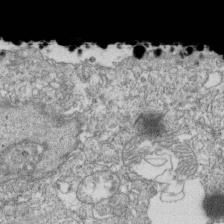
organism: Human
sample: HeLa cell HIV synapse